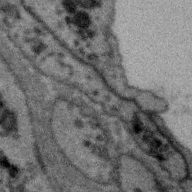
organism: Zebra finch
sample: Brain